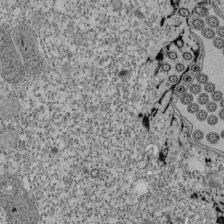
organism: Tetrahymena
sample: Cilia in tetrahymena